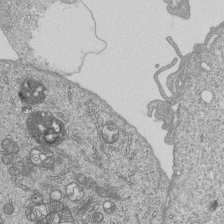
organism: Human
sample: MDA-MB-231 cells